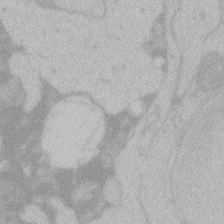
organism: Zebrafish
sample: Macrophage infected with Toxoplasma gondii